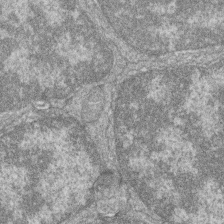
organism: Zebrafish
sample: Cilia; retinal pigment epithelium